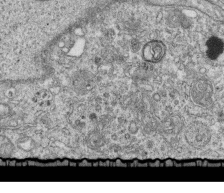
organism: Human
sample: HeLa cell HIV synapse